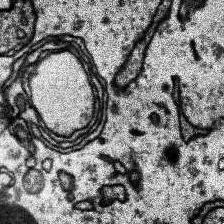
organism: Human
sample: Temporal Lobe